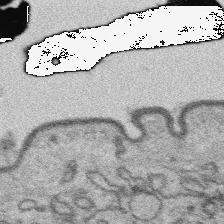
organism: Platynereis dumerilii